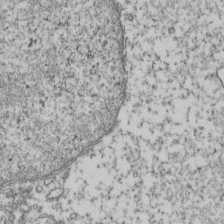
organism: Human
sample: Activated Jurkat CD4+ T cells